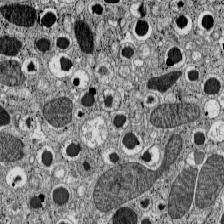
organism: C57BL Mouse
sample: Pancreatic islet